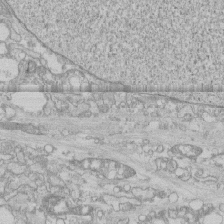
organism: Human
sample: CRL-1474